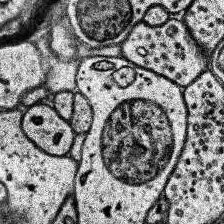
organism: Human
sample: Temporal Lobe